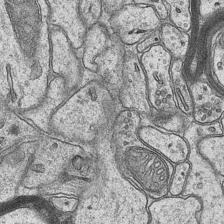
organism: Mouse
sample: CA1 Hippocampus